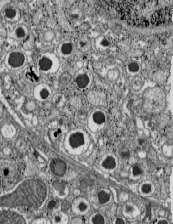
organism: C57BL Mouse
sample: Pancreatic islet